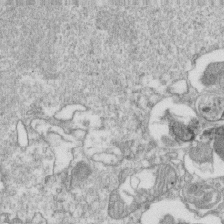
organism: Mouse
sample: Activated OT-1 CD8+ T cells